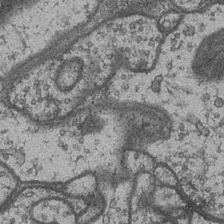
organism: Drosophila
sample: Optic medulla